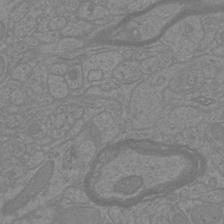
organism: Mouse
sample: Cortical neurons